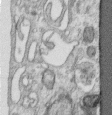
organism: Human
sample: Centriole in RPE cells